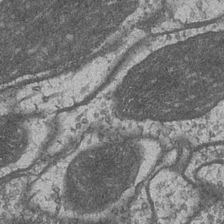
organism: Drosophila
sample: Optic medulla